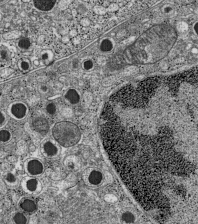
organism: C57BL Mouse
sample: Pancreatic islet